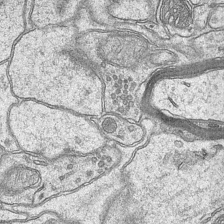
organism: Mouse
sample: CA1 Hippocampus